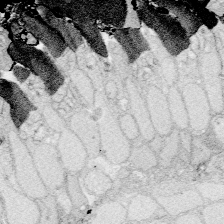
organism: Zebrafish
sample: Whole-Brain